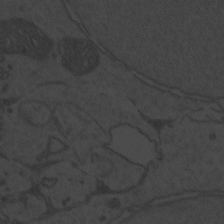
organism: Zebrafish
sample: Macrophage infected with Toxoplasma gondii